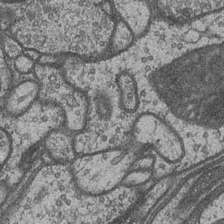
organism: Drosophila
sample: Optic medulla